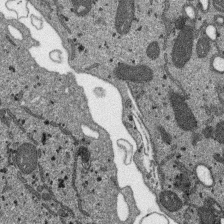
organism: Human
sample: Lung epithelial cells infected with SARS-CoV-2